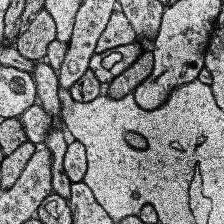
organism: Human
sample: Temporal Lobe